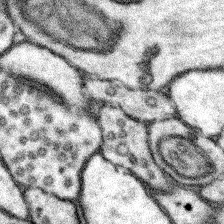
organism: Mouse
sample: Somatosensory cortex neuropil